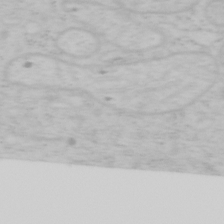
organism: Mouse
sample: OT-I killer T cells with ID8 ovarian cancer cells